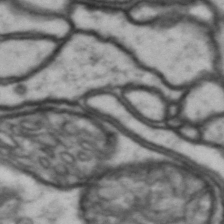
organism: Drosophila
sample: Brain